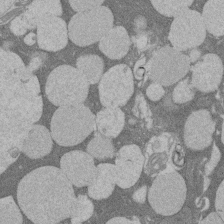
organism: Rat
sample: Salivary granule